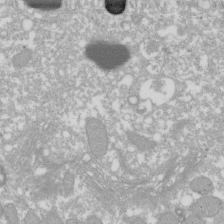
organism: Xenopus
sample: Cilia; centrioles in frog embryo cells